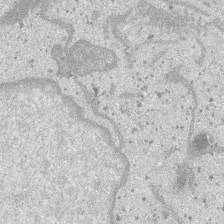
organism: Human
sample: Lung epithelial cells infected with SARS-CoV-2